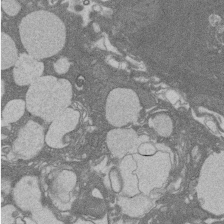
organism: Rat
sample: Salivary granule